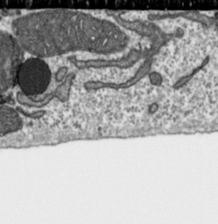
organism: Toxoplasma gondii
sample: Parasites in a vacuole inside a host cell